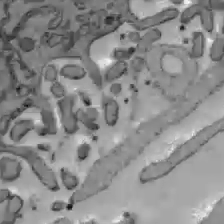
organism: C57BL Mouse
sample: Liver